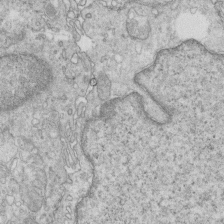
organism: Mouse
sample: Multiciliated cells